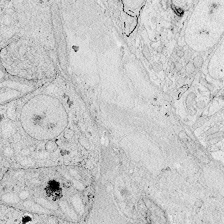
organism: Zebrafish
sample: Whole-Brain